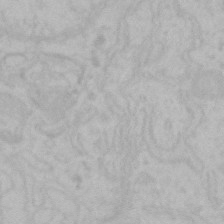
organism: Mouse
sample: Choroid plexus